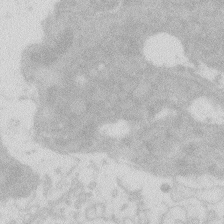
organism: Zebrafish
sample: Macrophage